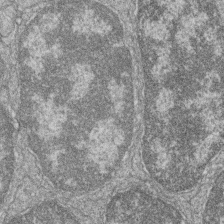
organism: Zebrafish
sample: Cilia; retinal pigment epithelium